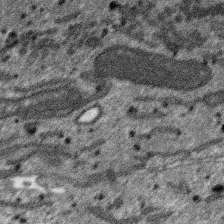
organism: Human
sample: Lung epithelial cells infected with SARS-CoV-2